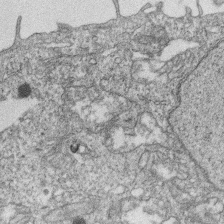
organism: Human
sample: HeLa cell HIV synapse